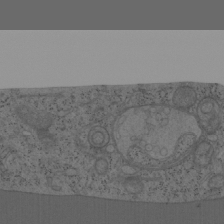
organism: Human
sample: HeLa cells